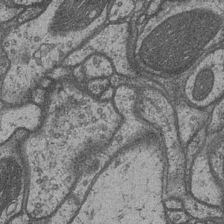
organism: Drosophila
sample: Optic medulla